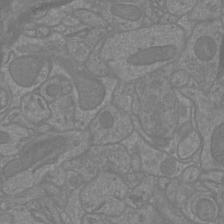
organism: Mouse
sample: Cortical neurons